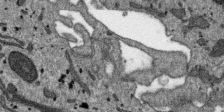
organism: Human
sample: Lung epithelial cells, uninfected (mock) control